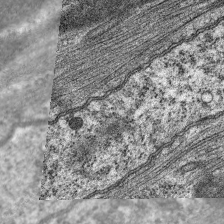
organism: C. elegans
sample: Pharynx